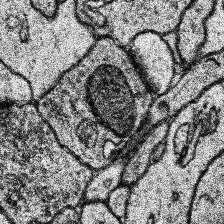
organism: Human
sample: Temporal Lobe